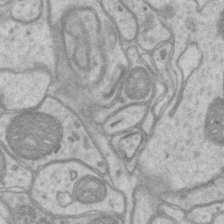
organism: Mouse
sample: CA1 Hippocampus